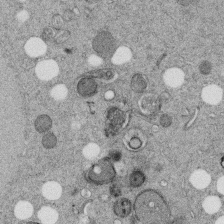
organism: C. elegans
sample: C. elegans embryo early stage